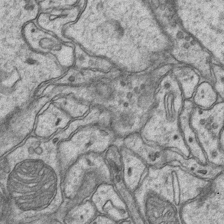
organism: Mouse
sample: CA1 Hippocampus